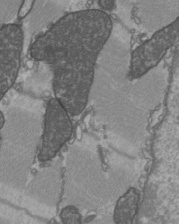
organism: C57BL Mouse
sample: Heart